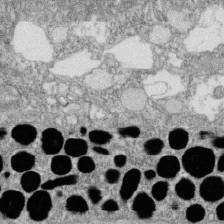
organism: Zebrafish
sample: Cilia; retinal pigment epithelium